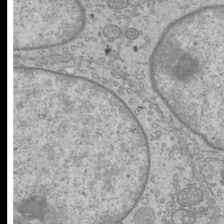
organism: Mouse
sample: Cilia; mouse epididymis